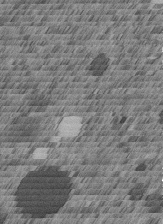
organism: C. elegans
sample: C. elegans embryo early stage